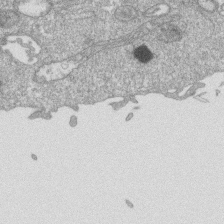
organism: Human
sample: HeLa cell HIV synapse